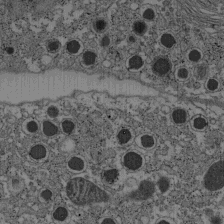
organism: C57BL Mouse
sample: Pancreatic islet